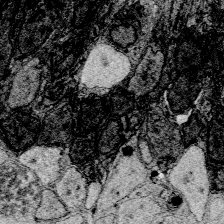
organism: Zebrafish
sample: Whole-Brain